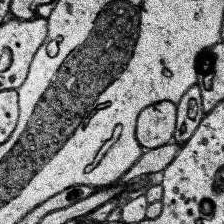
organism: Human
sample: Temporal Lobe